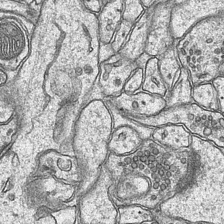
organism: Mouse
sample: CA1 Hippocampus